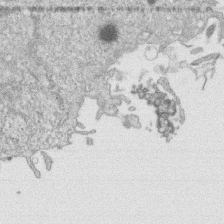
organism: Human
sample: HeLa cell HIV synapse